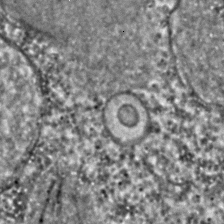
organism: C. elegans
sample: C. elegans embryo